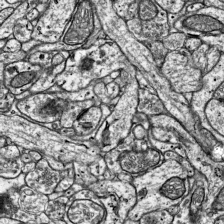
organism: Mouse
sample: Visual Cortex